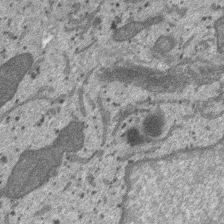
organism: Human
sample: Lung epithelial cells infected with SARS-CoV-2